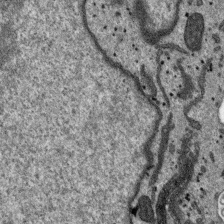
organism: Human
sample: Lung epithelial cells, uninfected (mock) control